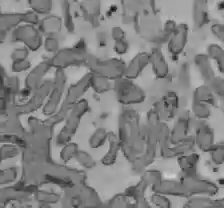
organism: C57BL Mouse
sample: Liver